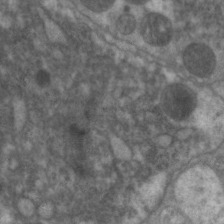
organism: C. elegans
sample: Pharynx